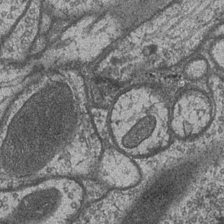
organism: Drosophila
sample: Optic medulla